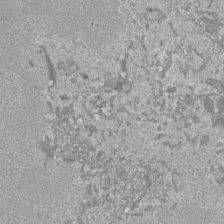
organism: Mouse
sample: ED-1 cell nuclei; centrioles